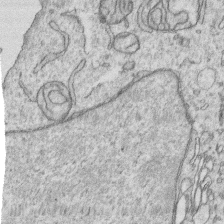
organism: Human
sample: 1205lu cells